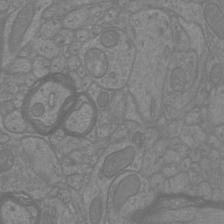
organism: Mouse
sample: Cortical neurons